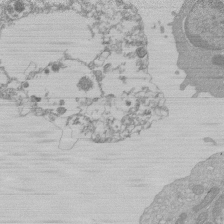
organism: Mouse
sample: Activated Pmel transgenic CD8+ T Cells